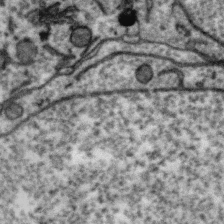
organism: Zebra finch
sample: Brain